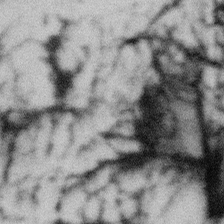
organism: Gemmata obscuriglobus